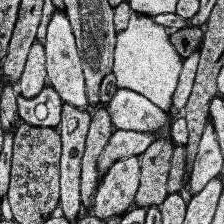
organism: Human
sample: Temporal Lobe